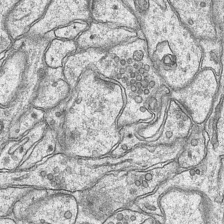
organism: Mouse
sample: CA1 Hippocampus